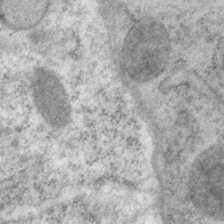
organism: P. pacificus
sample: Pharynx